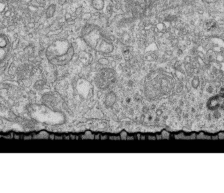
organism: Human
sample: HeLa cell HIV synapse